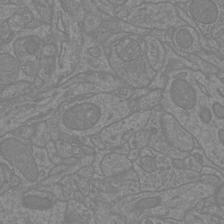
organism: Mouse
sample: Cortical neurons